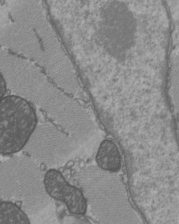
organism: C57BL Mouse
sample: Heart